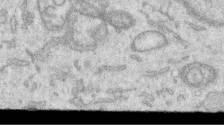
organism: Human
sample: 1205lu cells